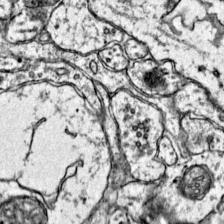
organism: Mouse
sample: Primary visual cortex